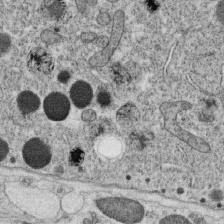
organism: C. elegans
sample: C. elegans oocyte; sperm cells